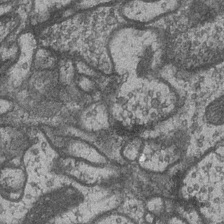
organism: Drosophila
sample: Optic medulla